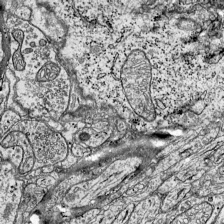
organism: Mouse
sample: Visual Cortex